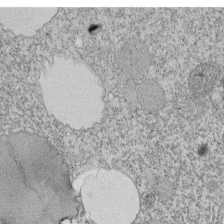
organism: Tetrahymena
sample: Cilia in tetrahymena